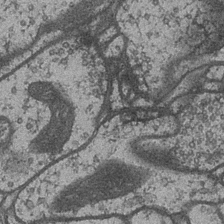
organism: Drosophila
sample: Optic medulla